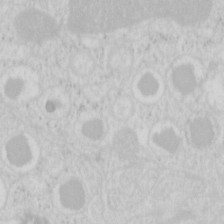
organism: Mouse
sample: Pancreas